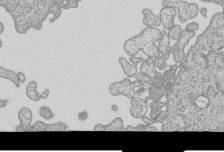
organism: Human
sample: MDA-MB-231 cells